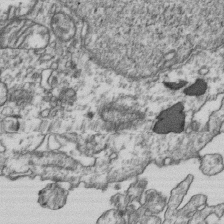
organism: Human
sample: Activated Jurkat CD4+ T cells